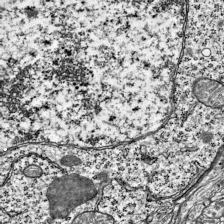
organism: Mouse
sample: Visual Cortex